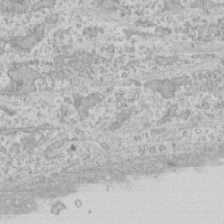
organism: Human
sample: CRL-1474